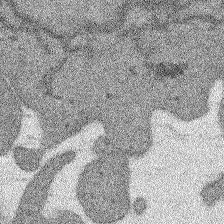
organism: Human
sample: HeLa cells